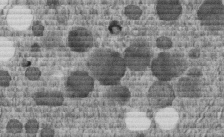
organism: C. elegans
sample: C. elegans embryo early stage